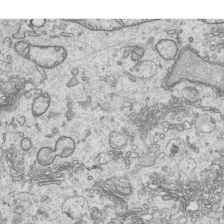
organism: Human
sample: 1205lu cells